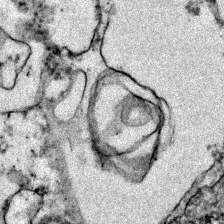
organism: Zebrafish